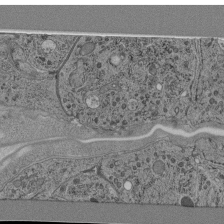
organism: C. elegans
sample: C. elegans pharynx